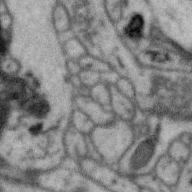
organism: Zebra finch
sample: Brain